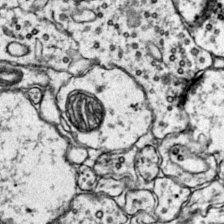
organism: Mouse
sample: Primary visual cortex